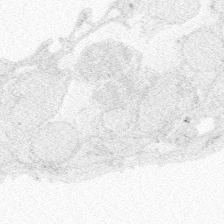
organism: Zebrafish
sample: Whole-Brain